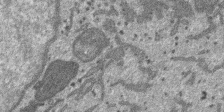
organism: Human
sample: Lung epithelial cells infected with SARS-CoV-2